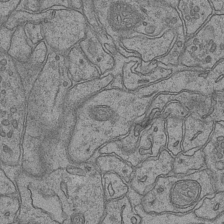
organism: Mouse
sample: CA1 Hippocampus